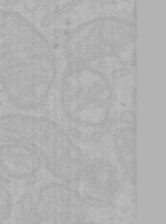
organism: Mouse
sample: Choroid plexus